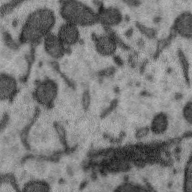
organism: Zebra finch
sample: Brain